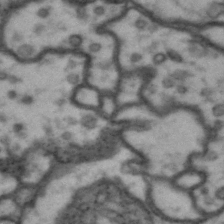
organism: Drosophila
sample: Brain